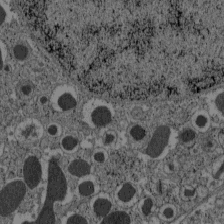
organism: C57BL Mouse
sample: Pancreatic islet